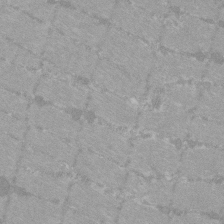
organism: C57BL Mouse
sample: Tibialis anterior muscle cell